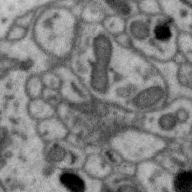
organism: Zebra finch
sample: Brain